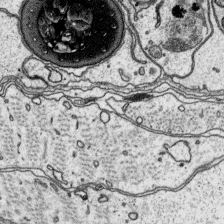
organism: Platynereis dumerilii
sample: Parapodia